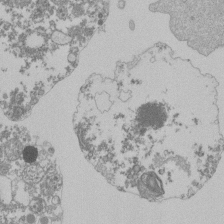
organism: Mouse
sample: Activated Pmel transgenic CD8+ T Cells